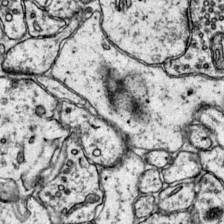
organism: Mouse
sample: Primary visual cortex